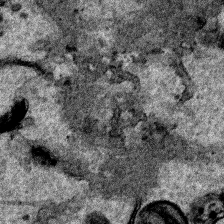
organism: Human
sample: Mitochondria in HCT116 cells